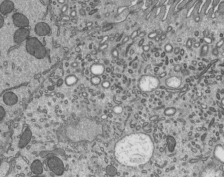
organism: Mouse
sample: Mouse epididymis efferent ductule cilia